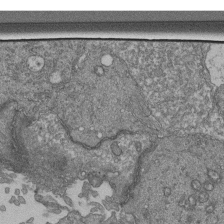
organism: Human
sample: Retinal organoid Rod and Cone cells